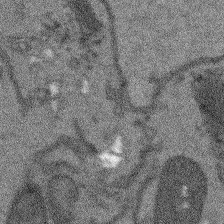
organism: Arabidopsis thaliana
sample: Root tip